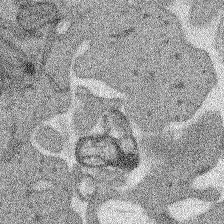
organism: Human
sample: HeLa cells